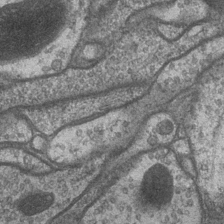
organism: Drosophila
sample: Optic medulla